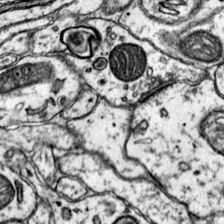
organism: Mouse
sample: Primary visual cortex